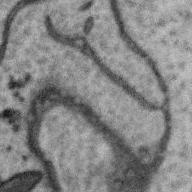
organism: Zebra finch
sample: Brain